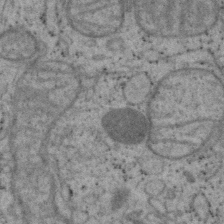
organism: Human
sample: HeLa cells